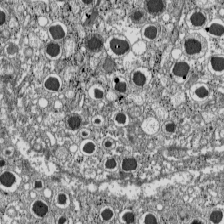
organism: C57BL Mouse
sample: Pancreatic islet